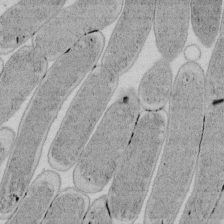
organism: E. coli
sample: Bacterial nucleoid